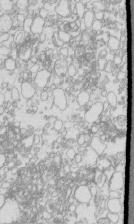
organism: Mouse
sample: Macrophages